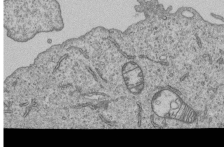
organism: Human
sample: MDA-MB-231 cells